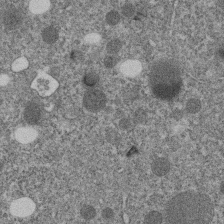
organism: C. elegans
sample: C. elegans embryo early stage